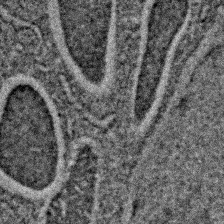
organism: C. elegans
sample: C. elegans embryo